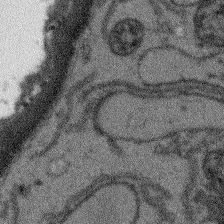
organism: Arabidopsis thaliana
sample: Root tip